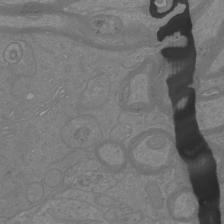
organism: Mouse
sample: Cortical neurons